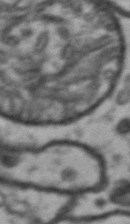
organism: Drosophila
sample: Brain